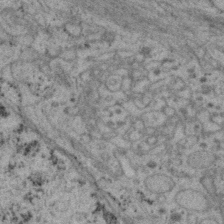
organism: Human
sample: HeLa cells